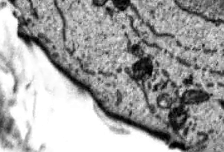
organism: Human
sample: HeLa cells